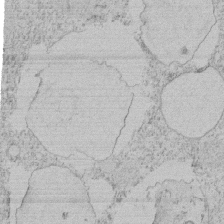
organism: Tetrahymena